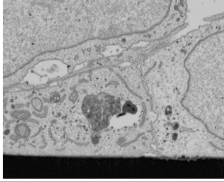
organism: Human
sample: Mitochondria in U2OS cells